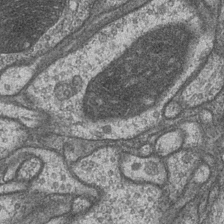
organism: Drosophila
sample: Optic medulla